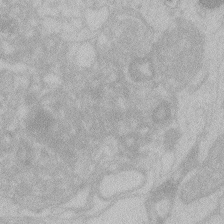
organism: Zebrafish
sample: Macrophage infected with Toxoplasma gondii